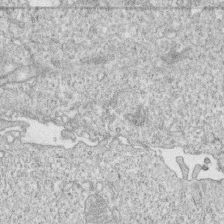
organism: Human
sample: HeLa cell HIV synapse